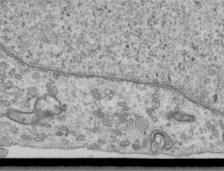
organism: Human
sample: Centriole in RPE cells